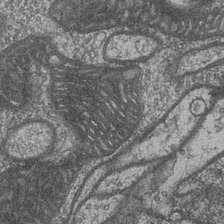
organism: Drosophila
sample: Optic medulla